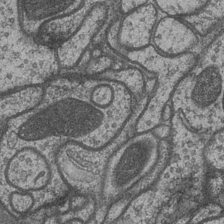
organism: Drosophila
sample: Optic medulla